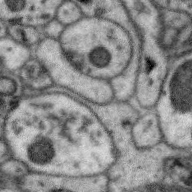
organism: Zebra finch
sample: Brain